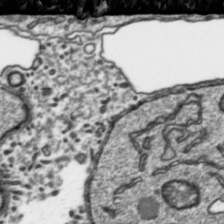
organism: Toxoplasma gondii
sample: Parasites in a vacuole inside a host cell